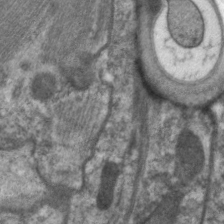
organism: C. elegans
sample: Pharynx